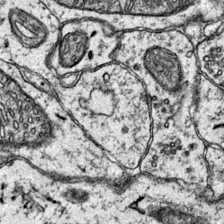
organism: Mouse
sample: Primary visual cortex